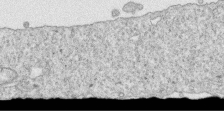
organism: Human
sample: HeLa cell HIV synapse